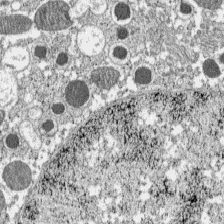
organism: C57BL Mouse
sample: Pancreatic islet